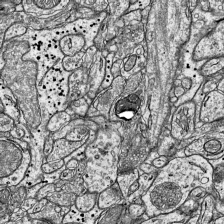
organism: Mouse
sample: Visual Cortex